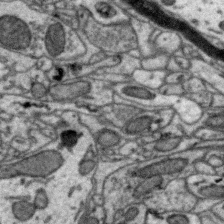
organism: Zebra finch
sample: Brain